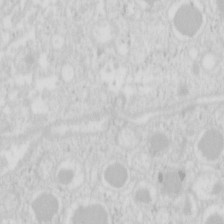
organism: Mouse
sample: Pancreas